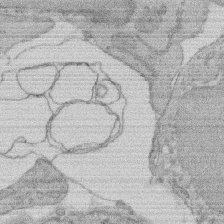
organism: Rat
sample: Salivary granule